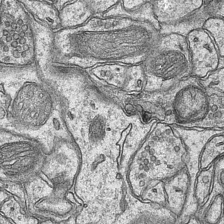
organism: Mouse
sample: CA1 Hippocampus